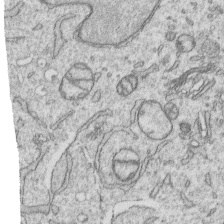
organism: Human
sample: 1205lu cells